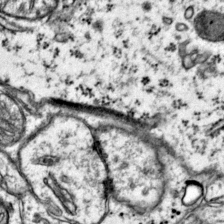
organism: Mouse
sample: Primary visual cortex